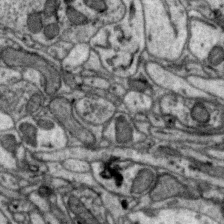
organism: Zebra finch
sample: Brain